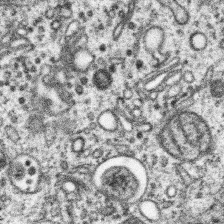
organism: Human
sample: HeLa cells